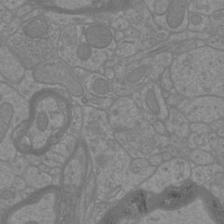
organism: Mouse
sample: Cortical neurons